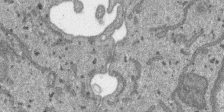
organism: Human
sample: Lung epithelial cells infected with SARS-CoV-2